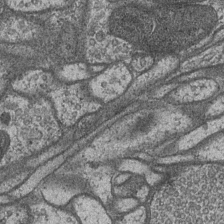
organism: Drosophila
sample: Optic medulla